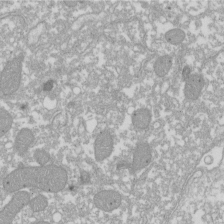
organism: Xenopus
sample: Cilia; centrioles in frog embryo cells